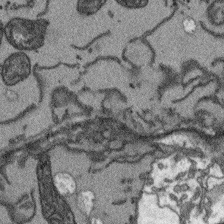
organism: Arabidopsis thaliana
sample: Root tip